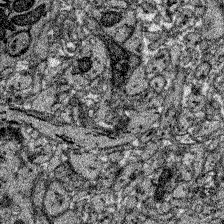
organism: Zebrafish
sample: Larval olfactory bulb